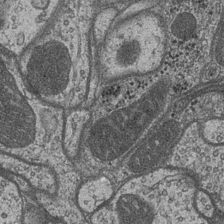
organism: Drosophila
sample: Optic medulla